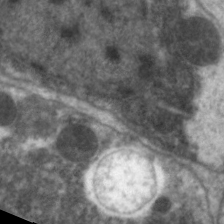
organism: C. elegans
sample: Pharynx